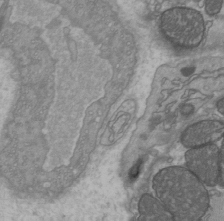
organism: C57BL Mouse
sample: Heart